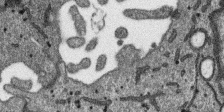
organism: Human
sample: Lung epithelial cells infected with SARS-CoV-2